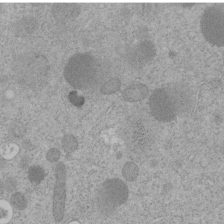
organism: C. elegans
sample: C. elegans embryo early stage